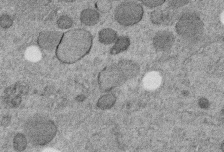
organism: C. elegans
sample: C. elegans embryo early stage